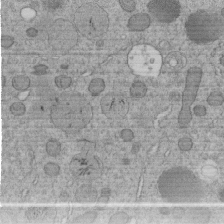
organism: C. elegans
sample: C. elegans embryo early stage